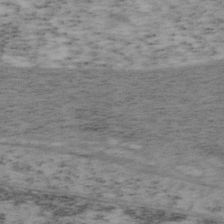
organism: Mouse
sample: OT-I killer T cells with ID8 ovarian cancer cells